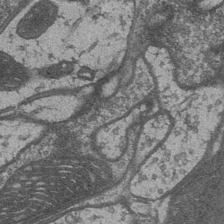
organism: Drosophila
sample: Optic medulla